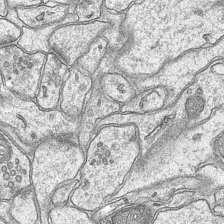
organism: Mouse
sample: CA1 Hippocampus